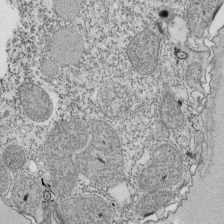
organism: Tetrahymena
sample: Cilia in tetrahymena